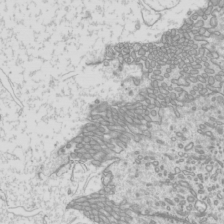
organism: Mouse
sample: Cilia; mouse epididymis